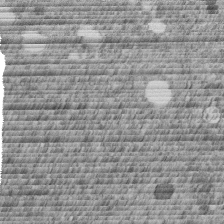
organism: C. elegans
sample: C. elegans embryo early stage